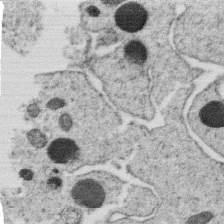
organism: C. elegans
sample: C. elegans oocyte; sperm cells